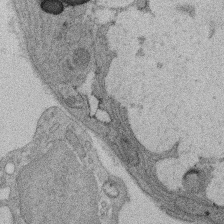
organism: Rat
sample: Salivary granule